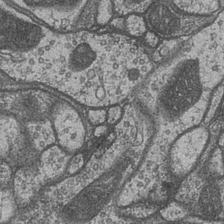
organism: Drosophila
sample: Optic medulla